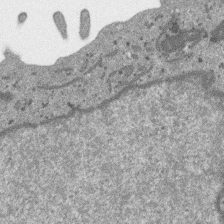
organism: Human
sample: Lung epithelial cells infected with SARS-CoV-2